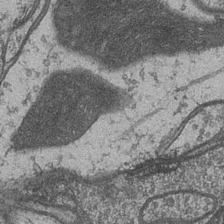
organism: Drosophila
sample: Optic medulla